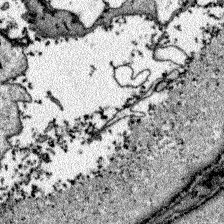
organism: Zebrafish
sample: Larval olfactory bulb